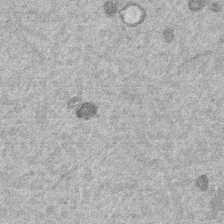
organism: Mouse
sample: Dividing mouse embryo 1 cell stage